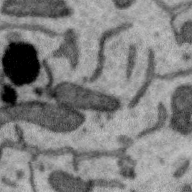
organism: Zebra finch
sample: Brain